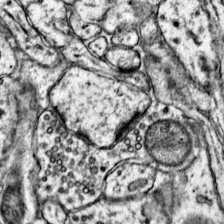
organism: Mouse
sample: Primary visual cortex